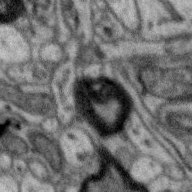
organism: Zebra finch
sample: Brain